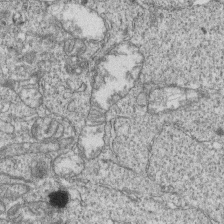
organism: Human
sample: HeLa cell HIV synapse